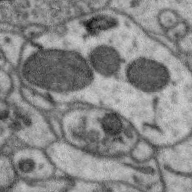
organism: Zebra finch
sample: Brain